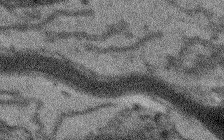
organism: Arabidopsis thaliana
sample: Root tip